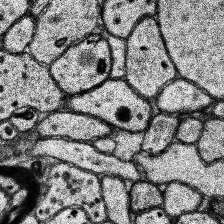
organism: Human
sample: Temporal Lobe